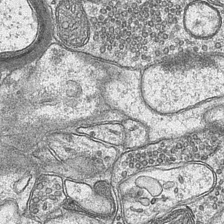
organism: Mouse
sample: CA1 Hippocampus